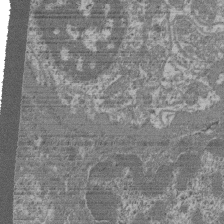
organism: Mouse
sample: Glomerulus